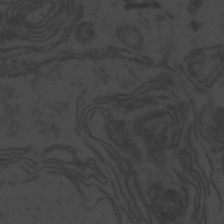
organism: Zebrafish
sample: Macrophage infected with Toxoplasma gondii